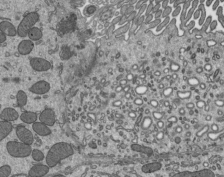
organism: Mouse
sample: Mouse epididymis efferent ductule cilia